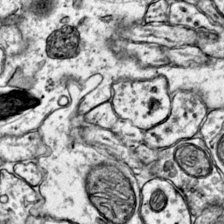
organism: Mouse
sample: Primary visual cortex